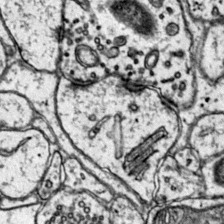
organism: Mouse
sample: Primary visual cortex